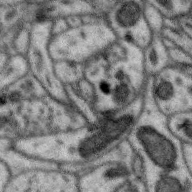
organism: Zebra finch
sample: Brain